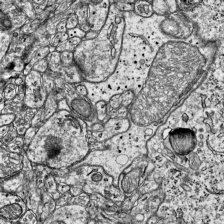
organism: Mouse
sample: Visual Cortex